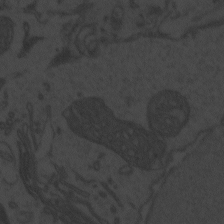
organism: Zebrafish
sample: Macrophage infected with Toxoplasma gondii